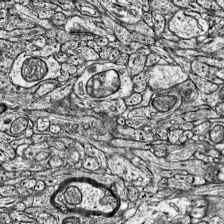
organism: Mouse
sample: Visual Cortex